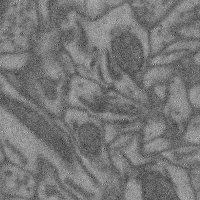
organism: Mouse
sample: Cerebral cortex